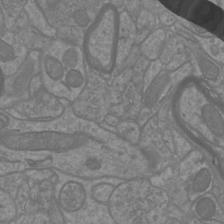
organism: Mouse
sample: Cortical neurons